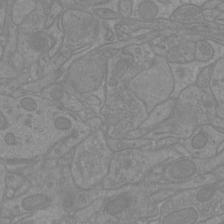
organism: Mouse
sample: Cortical neurons